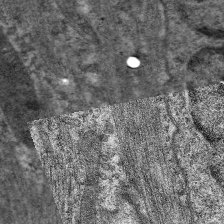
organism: C. elegans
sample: Pharynx